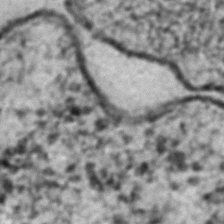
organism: C. elegans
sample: C. elegans embryo